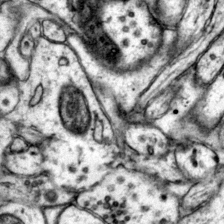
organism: Mouse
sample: Primary visual cortex